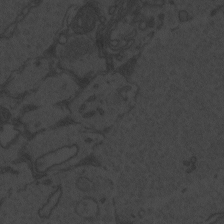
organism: Zebrafish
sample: Macrophage infected with Toxoplasma gondii